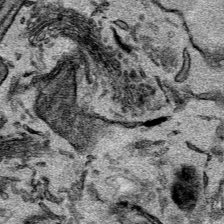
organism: Mouse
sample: Cancer cell death in ED-1 cells